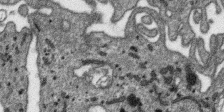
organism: Human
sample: Lung epithelial cells infected with SARS-CoV-2